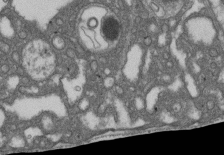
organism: Drosophila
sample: Nephrocyte